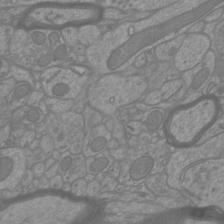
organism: Mouse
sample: Cortical neurons